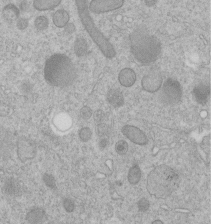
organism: C. elegans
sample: C. elegans embryo early stage